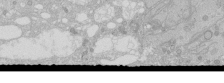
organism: Human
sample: Caco-2 cells